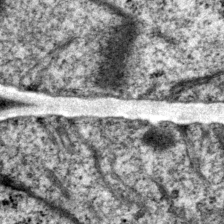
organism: P. pacificus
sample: Pharynx